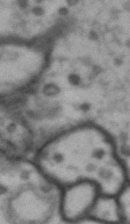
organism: Drosophila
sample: Brain